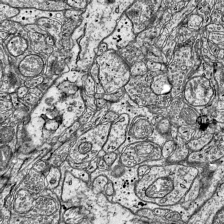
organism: Mouse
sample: Visual Cortex